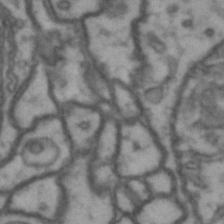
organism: Drosophila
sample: Brain